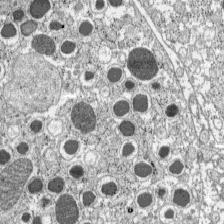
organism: C57BL Mouse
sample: Pancreatic islet